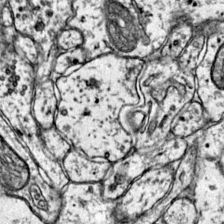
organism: Mouse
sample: Primary visual cortex